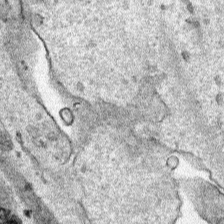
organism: Human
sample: Mitochondria in HCT116 cells